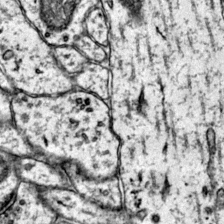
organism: Mouse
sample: Primary visual cortex